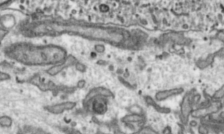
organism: Toxoplasma gondii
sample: Parasites in a vacuole inside a host cell